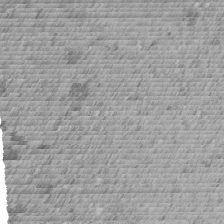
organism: C. elegans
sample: C. elegans embryo early stage